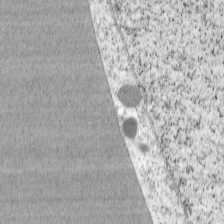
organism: African green monkey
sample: COS-7 cells